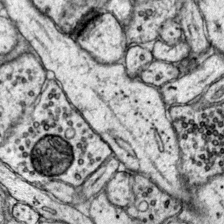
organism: Mouse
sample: Primary visual cortex